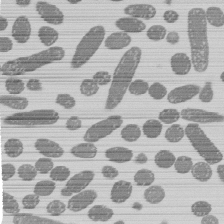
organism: E. coli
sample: Bacterial nucleoid